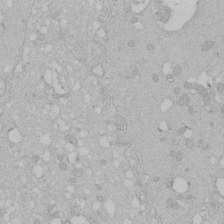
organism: Human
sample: Melanocyte Keratinocyte synapse skin construct